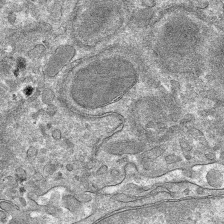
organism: Mouse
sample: Mouse hepatocytes